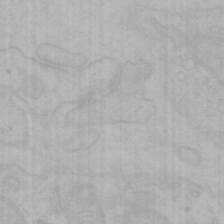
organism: Mouse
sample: Choroid plexus